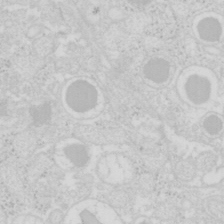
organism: Mouse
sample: Pancreas